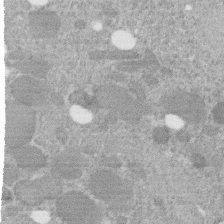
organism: C. elegans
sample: C. elegans embryo early stage